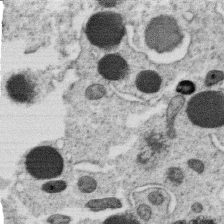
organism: C. elegans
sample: C. elegans oocyte; sperm cells